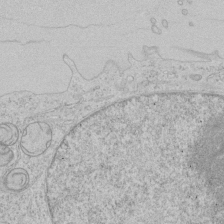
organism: Human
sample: Mitochondria in HCT116 cells